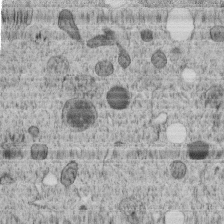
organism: C. elegans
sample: C. elegans embryo early stage